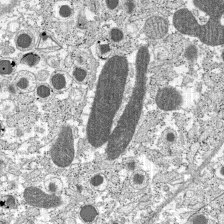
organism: C57BL Mouse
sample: Pancreatic islet